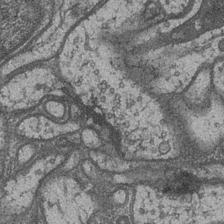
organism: Drosophila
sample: Optic medulla